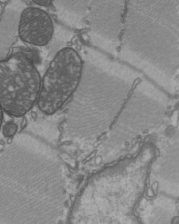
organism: C57BL Mouse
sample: Heart